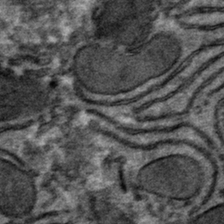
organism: Mouse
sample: Mouse hepatocytes